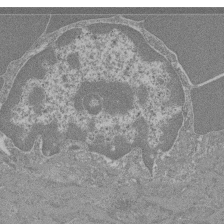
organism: Mouse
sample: Glomerulus